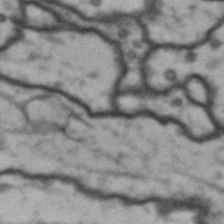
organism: Drosophila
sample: Brain